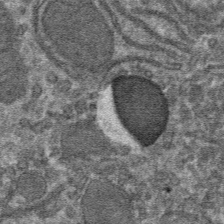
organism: Mouse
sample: Mouse hepatocytes